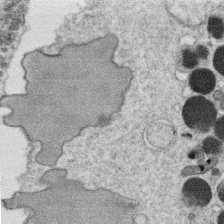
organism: C. elegans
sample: C. elegans oocyte; sperm cells